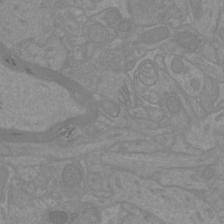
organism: Mouse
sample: Cortical neurons